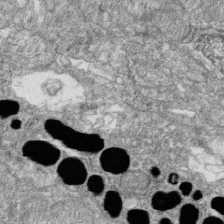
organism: Zebrafish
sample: Cilia; retinal pigment epithelium